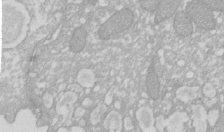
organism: Xenopus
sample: Cilia; centrioles in frog embryo cells